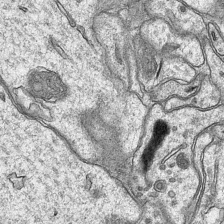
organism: Mouse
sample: CA1 Hippocampus